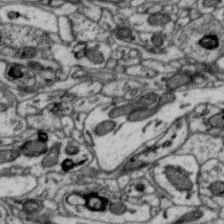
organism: Zebra finch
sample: Brain